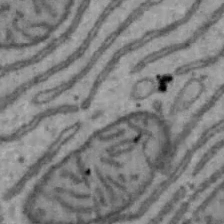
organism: Mouse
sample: Liver